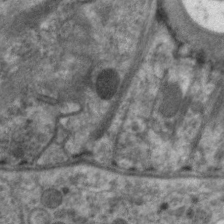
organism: C. elegans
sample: Pharynx